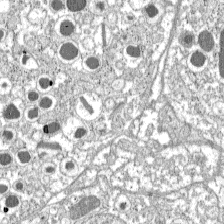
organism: C57BL Mouse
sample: Pancreatic islet